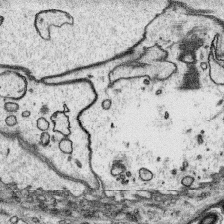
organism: Platynereis dumerilii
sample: Parapodia